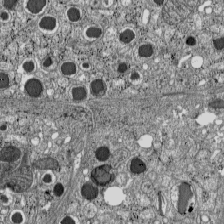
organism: C57BL Mouse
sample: Pancreatic islet